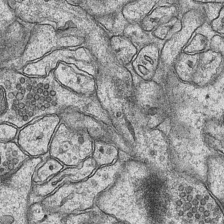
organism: Mouse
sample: CA1 Hippocampus